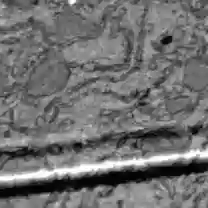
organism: C57BL Mouse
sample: Liver